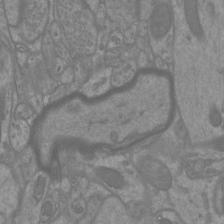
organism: Mouse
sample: Cortical neurons